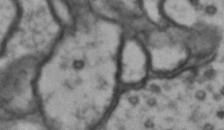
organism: Drosophila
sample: Brain